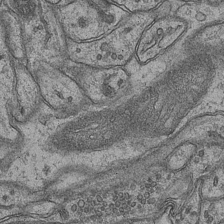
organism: Mouse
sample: CA1 Hippocampus